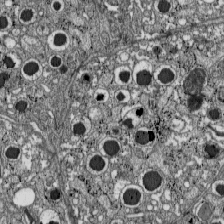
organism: C57BL Mouse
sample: Pancreatic islet